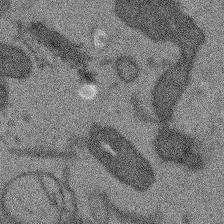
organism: Arabidopsis thaliana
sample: Root tip